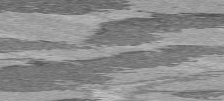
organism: C57BL Mouse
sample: Heart